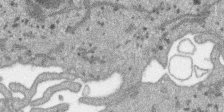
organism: Human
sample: Lung epithelial cells infected with SARS-CoV-2